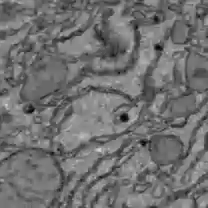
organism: C57BL Mouse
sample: Liver